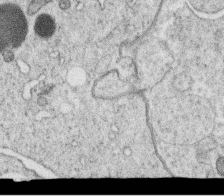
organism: C. elegans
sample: C. elegans oocyte; sperm cells